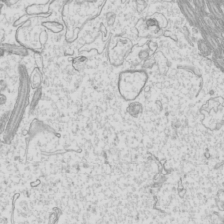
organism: Mouse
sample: Cilia; mouse epididymis